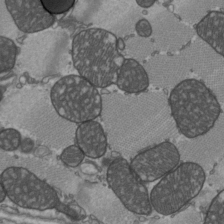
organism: C57BL Mouse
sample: Heart